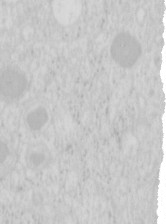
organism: Mouse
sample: Pancreas